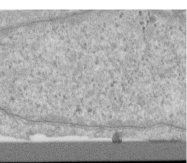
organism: Human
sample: Centriole in RPE cells